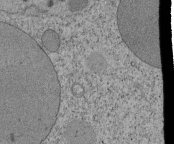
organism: Tetrahymena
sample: Cilia in tetrahymena